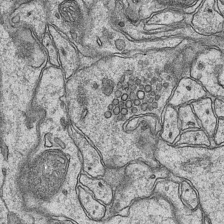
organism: Mouse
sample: CA1 Hippocampus